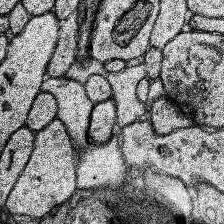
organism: Human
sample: Temporal Lobe